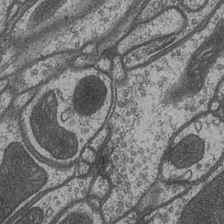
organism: Drosophila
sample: Optic medulla